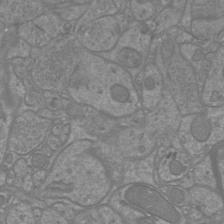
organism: Mouse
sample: Cortical neurons